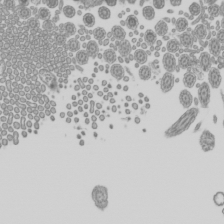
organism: Mouse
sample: Cilia; mouse epididymis